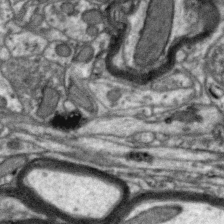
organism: Zebra finch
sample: Brain